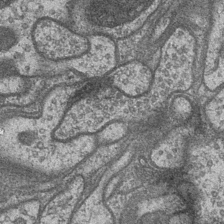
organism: Drosophila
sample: Optic medulla